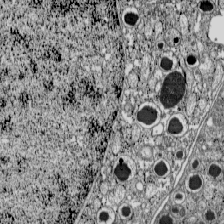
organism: C57BL Mouse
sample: Pancreatic islet